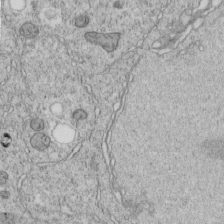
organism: C. elegans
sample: C. elegans embryo early stage